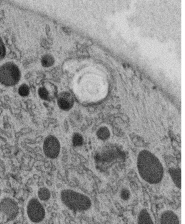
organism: C. elegans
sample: C. elegans oocyte; sperm cells